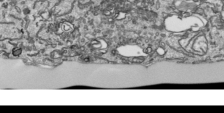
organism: Human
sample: Mitochondria in HCT116 cells